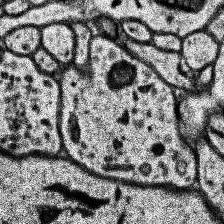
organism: Human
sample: Temporal Lobe